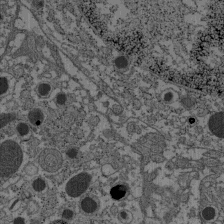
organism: C57BL Mouse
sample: Pancreatic islet